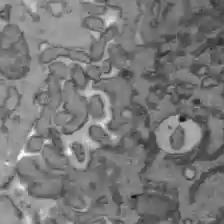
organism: C57BL Mouse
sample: Liver